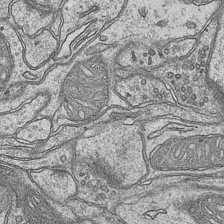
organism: Mouse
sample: CA1 Hippocampus